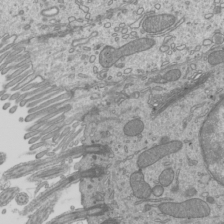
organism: Mouse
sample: Cilia; mouse epididymis